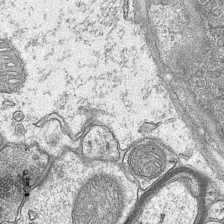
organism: Mouse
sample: CA1 Hippocampus